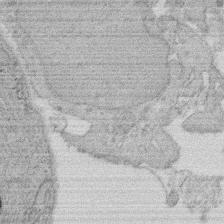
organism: Rat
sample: Salivary granule